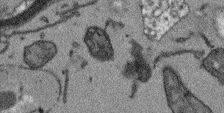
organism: Arabidopsis thaliana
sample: Root tip